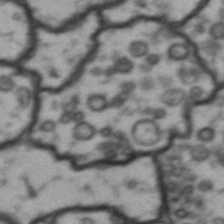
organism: Drosophila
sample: Brain